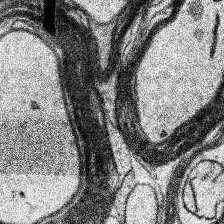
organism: Human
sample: Temporal Lobe